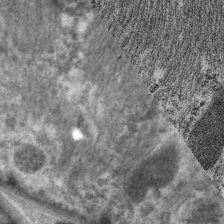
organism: C. elegans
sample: Pharynx